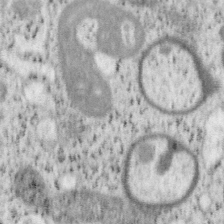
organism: Mouse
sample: OT-I killer T cells with ID8 ovarian cancer cells